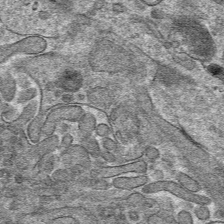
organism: Mouse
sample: Mouse hepatocytes